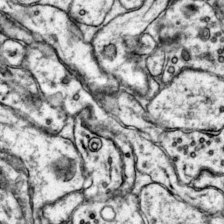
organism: Mouse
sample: Primary visual cortex